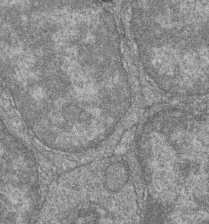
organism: Zebrafish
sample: Cilia; retinal pigment epithelium